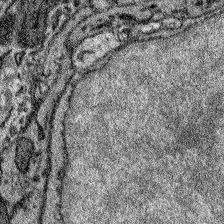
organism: Zebrafish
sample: Larval olfactory bulb